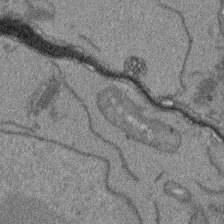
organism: Arabidopsis thaliana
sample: Root tip